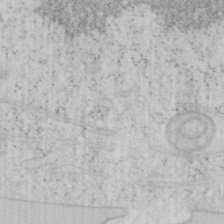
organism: Human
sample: HeLa cells